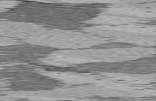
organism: C57BL Mouse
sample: Heart